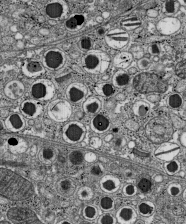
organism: C57BL Mouse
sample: Pancreatic islet